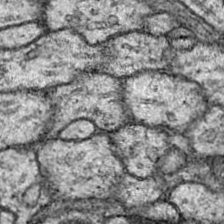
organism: Drosophila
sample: Ventral Nerve Cord